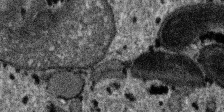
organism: Human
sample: Lung epithelial cells infected with SARS-CoV-2